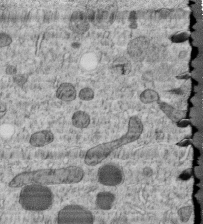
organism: C. elegans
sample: C. elegans embryo early stage